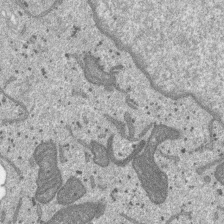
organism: Human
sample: Lung epithelial cells infected with SARS-CoV-2